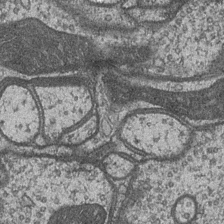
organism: Drosophila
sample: Optic medulla